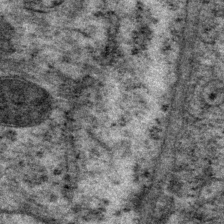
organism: P. pacificus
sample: Pharynx